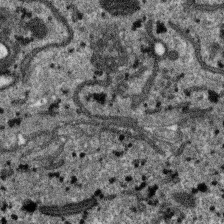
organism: Human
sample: Lung epithelial cells infected with SARS-CoV-2